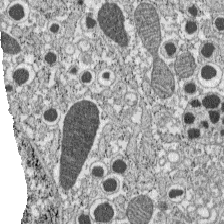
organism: C57BL Mouse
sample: Pancreatic islet